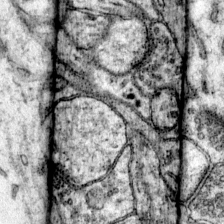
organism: Mouse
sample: Primary visual cortex